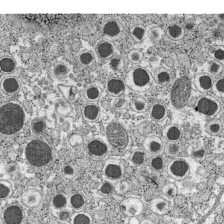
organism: C57BL Mouse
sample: Pancreatic islet